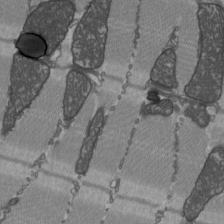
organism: C57BL Mouse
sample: Heart